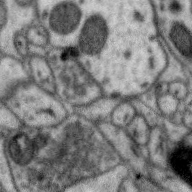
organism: Zebra finch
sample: Brain